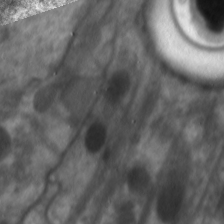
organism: C. elegans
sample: Pharynx